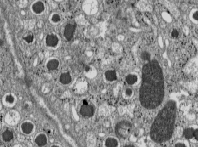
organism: C57BL Mouse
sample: Pancreatic islet